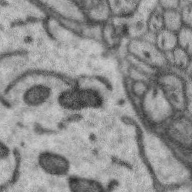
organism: Zebra finch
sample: Brain